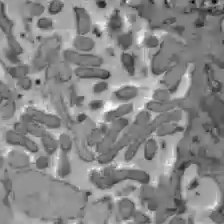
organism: C57BL Mouse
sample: Liver